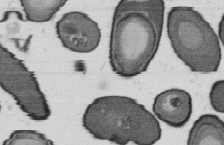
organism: B. subtilis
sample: Bacterial spore